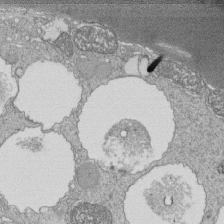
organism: Tetrahymena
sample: Cilia in tetrahymena